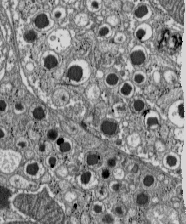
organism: C57BL Mouse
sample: Pancreatic islet